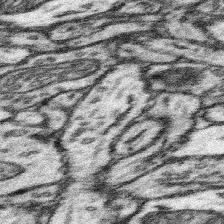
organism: Mouse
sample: Somatosensory cortex neuropil